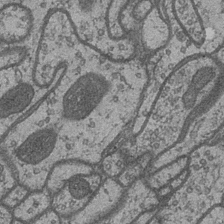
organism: Drosophila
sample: Optic medulla